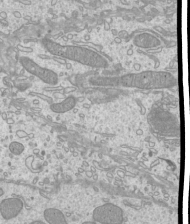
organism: Mouse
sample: Cilia; mouse epididymis